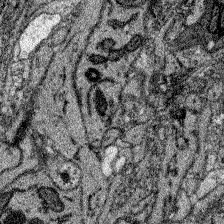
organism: Zebrafish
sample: Larval olfactory bulb